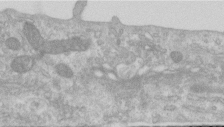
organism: Human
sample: Centriole in RPE cells